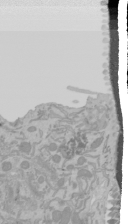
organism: Mouse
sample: Cancer cell death in ED-1 cells